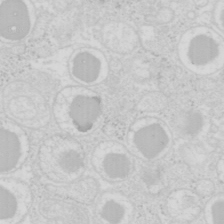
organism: Mouse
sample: Pancreas